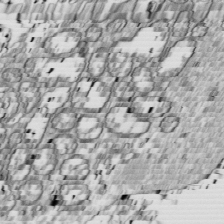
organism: Drosophila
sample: Cell division; meiosis; drosophila spermatocytes